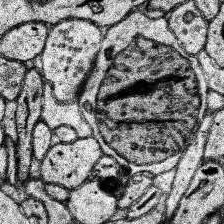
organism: Human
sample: Temporal Lobe